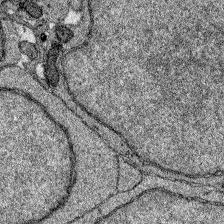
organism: Zebrafish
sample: Larval olfactory bulb